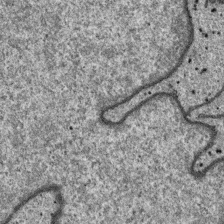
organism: Human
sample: Lung epithelial cells, uninfected (mock) control